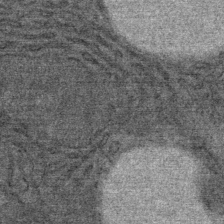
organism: Mouse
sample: Mouse Salivary gland